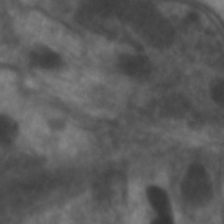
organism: C. elegans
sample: Pharynx